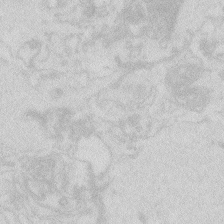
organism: Zebrafish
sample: Macrophage